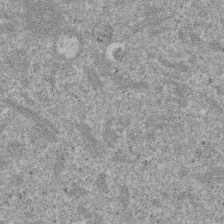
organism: Mouse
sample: Dividing mouse embryo 1 cell stage